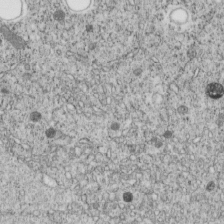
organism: C. elegans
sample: C. elegans embryo early stage